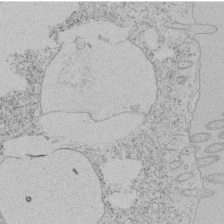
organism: Tetrahymena